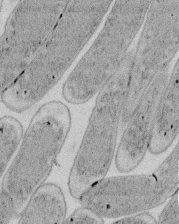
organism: E. coli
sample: Bacterial nucleoid